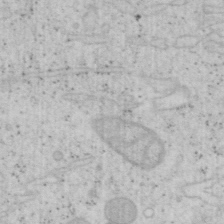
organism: Human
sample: HeLa cells